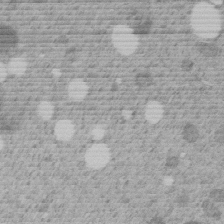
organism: C. elegans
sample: C. elegans embryo early stage